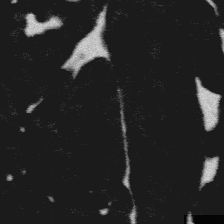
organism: Platynereis dumerilii